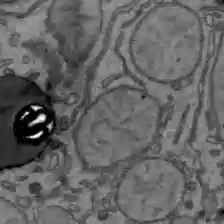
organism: C57BL Mouse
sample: Liver